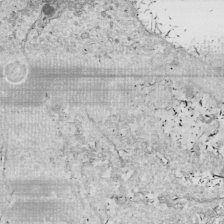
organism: Drosophila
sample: Cell division; meiosis; drosophila spermatocytes